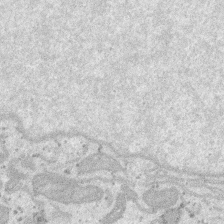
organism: Human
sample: Lung epithelial cells infected with SARS-CoV-2